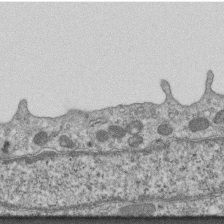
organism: Mouse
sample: Centriole in ependymal cells